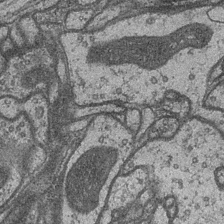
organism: Drosophila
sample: Optic medulla